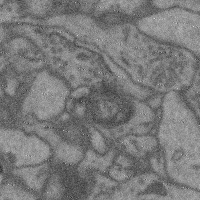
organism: Mouse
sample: Cerebral cortex